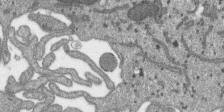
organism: Human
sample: Lung epithelial cells infected with SARS-CoV-2